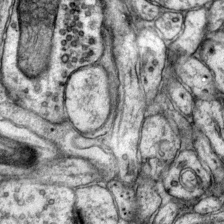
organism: Mouse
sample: Primary visual cortex